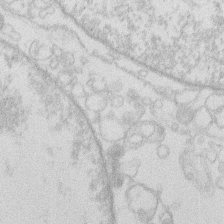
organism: Human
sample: Macrophage cells